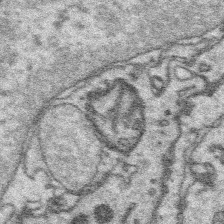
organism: Platynereis dumerilii